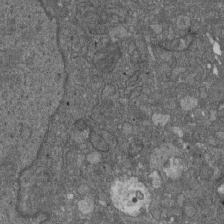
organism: Drosophila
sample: Nephrocyte